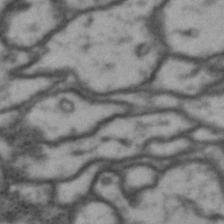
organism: Drosophila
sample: Brain